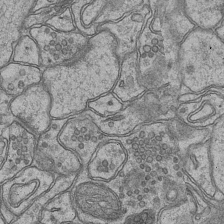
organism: Mouse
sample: CA1 Hippocampus